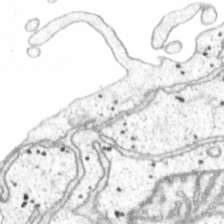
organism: Human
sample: HeLa cells